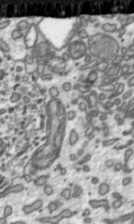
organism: Toxoplasma gondii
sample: Parasites in a vacuole inside a host cell